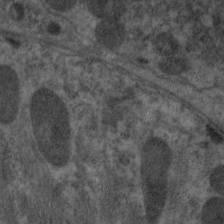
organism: C. elegans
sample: Pharynx